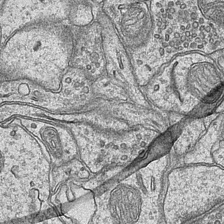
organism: Mouse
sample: CA1 Hippocampus